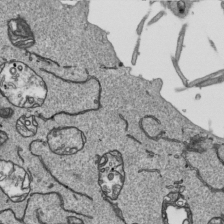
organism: Human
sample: Mitochondria in HCT116 cells